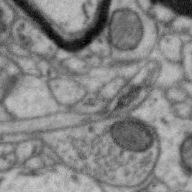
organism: Zebra finch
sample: Brain